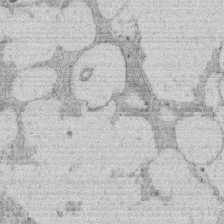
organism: Rat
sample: Salivary granule